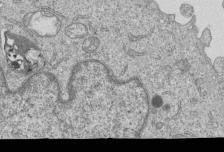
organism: Human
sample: MDA-MB-231 cells